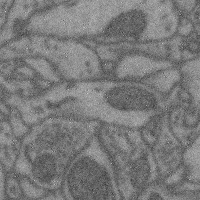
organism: Mouse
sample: Cerebral cortex